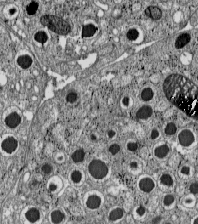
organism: C57BL Mouse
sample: Pancreatic islet